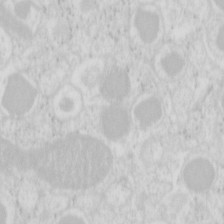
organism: Mouse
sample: Pancreas